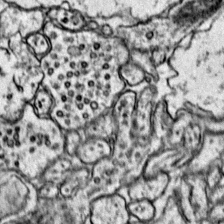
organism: Mouse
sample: Primary visual cortex